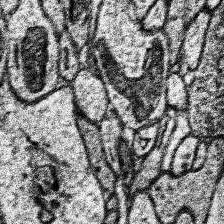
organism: Human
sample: Temporal Lobe